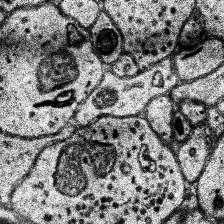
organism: Human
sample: Temporal Lobe